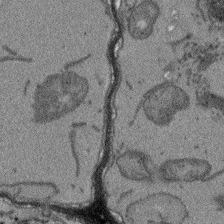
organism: Arabidopsis thaliana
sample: Root tip